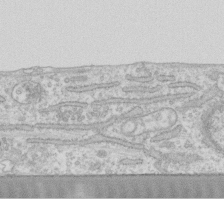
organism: Human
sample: Fibroblast cells